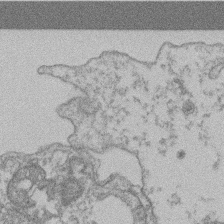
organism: Mouse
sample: T cell stromal cell synapse